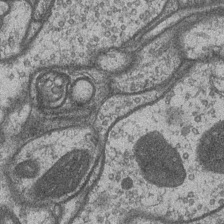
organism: Drosophila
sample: Optic medulla